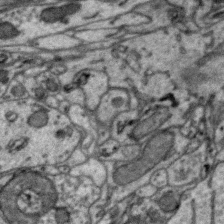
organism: Zebra finch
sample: Brain